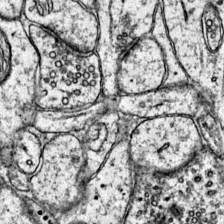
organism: Mouse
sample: Primary visual cortex